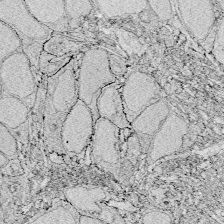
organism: Zebrafish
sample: Whole-Brain